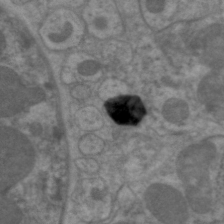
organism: C. elegans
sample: Pharynx